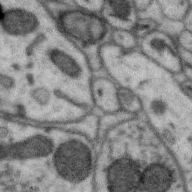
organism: Zebra finch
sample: Brain